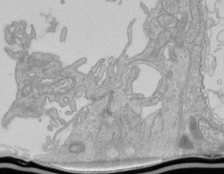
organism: Human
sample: Retinal organoid Rod and Cone cells